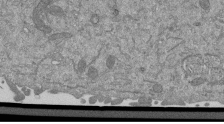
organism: Mouse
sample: ED-1 cell nuclei; centrioles